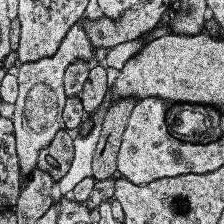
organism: Human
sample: Temporal Lobe